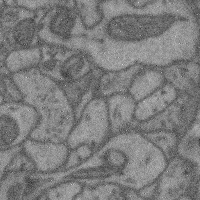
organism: Mouse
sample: Cerebral cortex